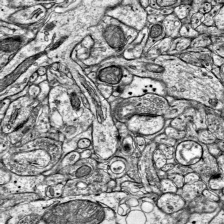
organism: Mouse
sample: Visual Cortex